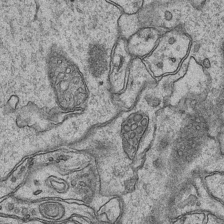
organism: Mouse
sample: CA1 Hippocampus